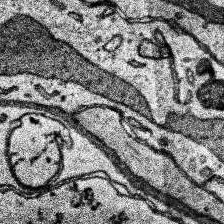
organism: Human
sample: Temporal Lobe